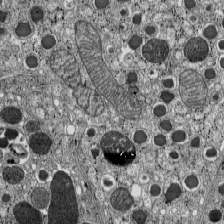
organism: C57BL Mouse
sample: Pancreatic islet